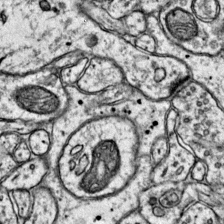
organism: Mouse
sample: Primary visual cortex